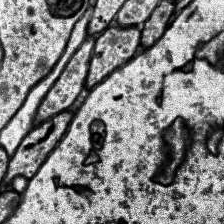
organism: Human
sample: Temporal Lobe